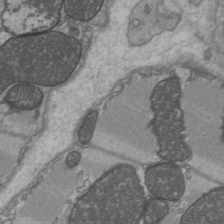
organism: C57BL Mouse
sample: Heart